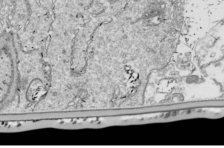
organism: Drosophila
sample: Cell division; meiosis; drosophila spermatocytes